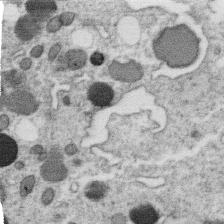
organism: C. elegans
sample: C. elegans oocyte; sperm cells